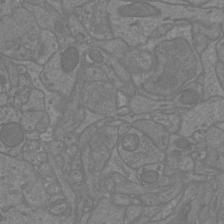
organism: Mouse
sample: Cortical neurons